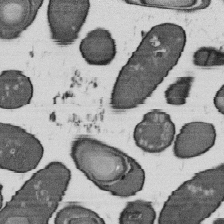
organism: B. subtilis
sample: Bacterial spore